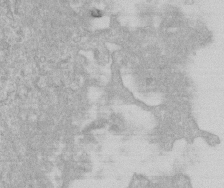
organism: Human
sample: Centriole in RPE cells